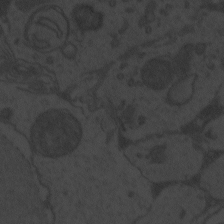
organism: Zebrafish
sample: Macrophage infected with Toxoplasma gondii